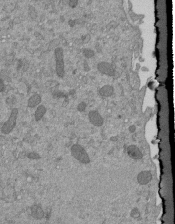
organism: Mouse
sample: ED-1 cell nuclei; centrioles